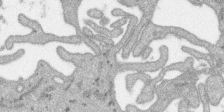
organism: Human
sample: Lung epithelial cells infected with SARS-CoV-2